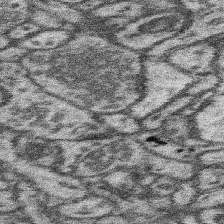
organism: Mouse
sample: Somatosensory cortex neuropil